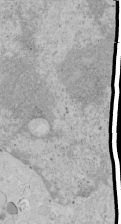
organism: Human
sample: Mitochondria in HCT116 cells